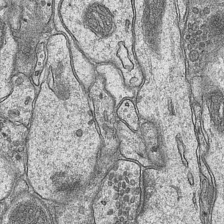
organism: Mouse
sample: CA1 Hippocampus